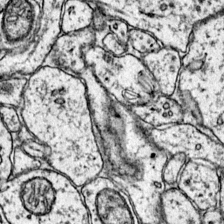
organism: Mouse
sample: Primary visual cortex